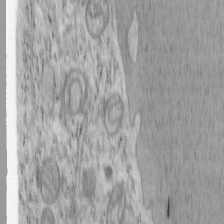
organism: Human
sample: HeLa cells